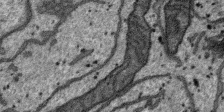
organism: Human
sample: Lung epithelial cells, uninfected (mock) control